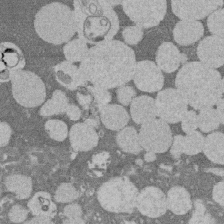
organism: Rat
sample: Salivary granule